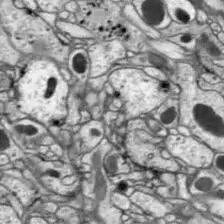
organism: Drosophila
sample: Optic lobe